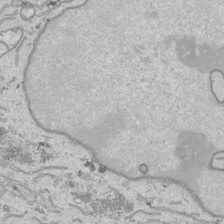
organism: Human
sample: Mitochondria in HCT116 cells